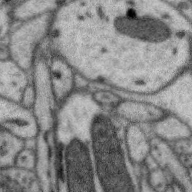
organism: Zebra finch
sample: Brain